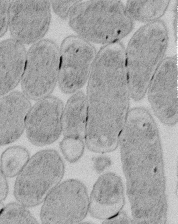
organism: E. coli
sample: Bacterial nucleoid